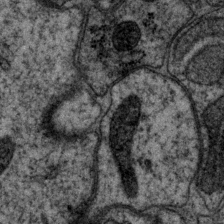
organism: P. pacificus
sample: Pharynx